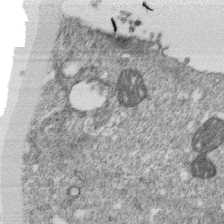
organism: African green monkey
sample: Vero E6 cells infected with SARS-CoV-2